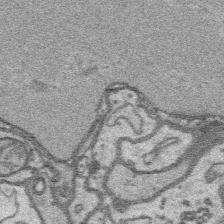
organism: Platynereis dumerilii